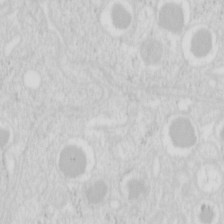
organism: Mouse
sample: Pancreas